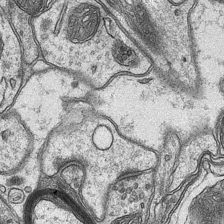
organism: Mouse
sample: CA1 Hippocampus